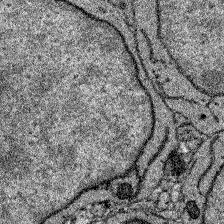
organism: Zebrafish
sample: Larval olfactory bulb